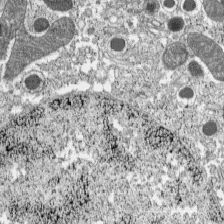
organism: C57BL Mouse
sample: Pancreatic islet